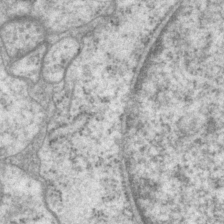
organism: P. pacificus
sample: Pharynx